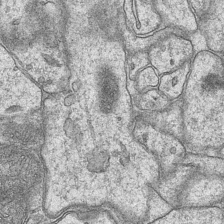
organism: Mouse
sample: CA1 Hippocampus